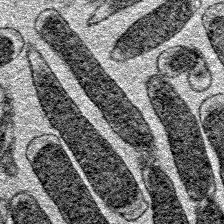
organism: E. coli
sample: E. Coli Bacteria